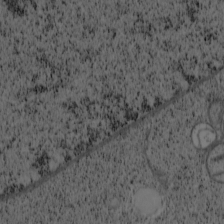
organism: African green monkey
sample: COS-7 cells